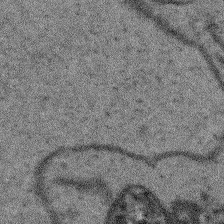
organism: Arabidopsis thaliana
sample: Root tip